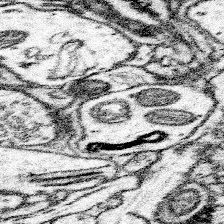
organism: Mouse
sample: Somatosensory cortex neuropil